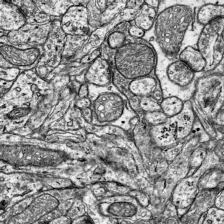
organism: Mouse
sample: Visual Cortex